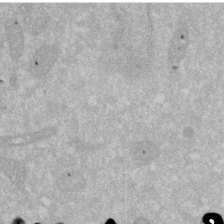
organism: Human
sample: HIV infected U937 cells